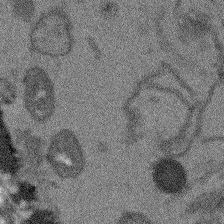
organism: Arabidopsis thaliana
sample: Root tip